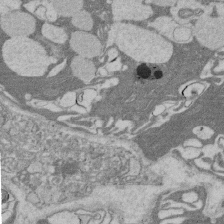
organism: Rat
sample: Salivary granule